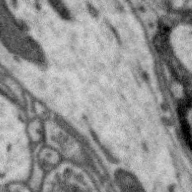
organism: Zebra finch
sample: Brain